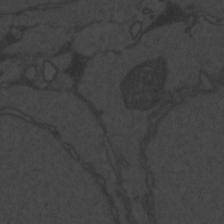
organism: Zebrafish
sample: Macrophage infected with Toxoplasma gondii